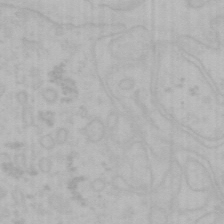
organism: Mouse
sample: Choroid plexus